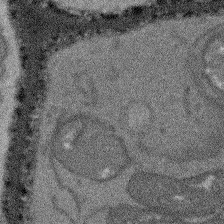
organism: Arabidopsis thaliana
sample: Root tip